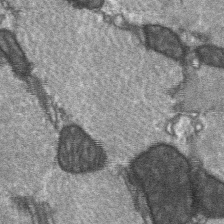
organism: C57BL Mouse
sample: Soleus